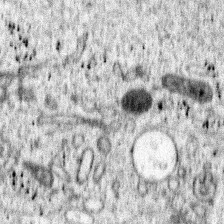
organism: Human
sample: HeLa cells